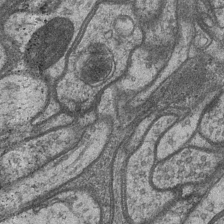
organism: Drosophila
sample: Optic medulla